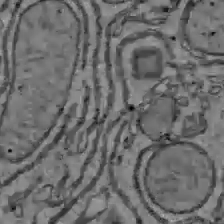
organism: C57BL Mouse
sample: Liver